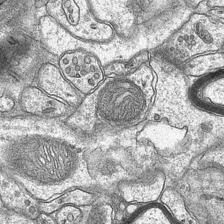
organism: Mouse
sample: CA1 Hippocampus